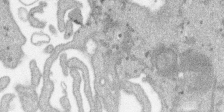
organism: Human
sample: Lung epithelial cells infected with SARS-CoV-2